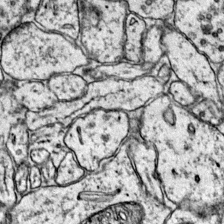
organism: Mouse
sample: Primary visual cortex